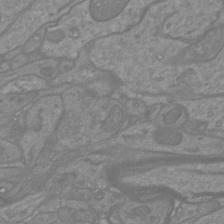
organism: Mouse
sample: Cortical neurons